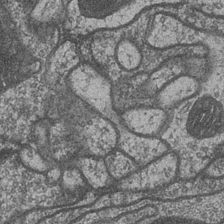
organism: Drosophila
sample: Optic medulla